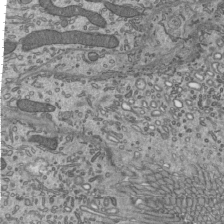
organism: Mouse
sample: Mouse epididymis efferent ductule cilia